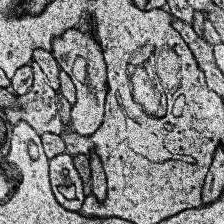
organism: Human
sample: Temporal Lobe